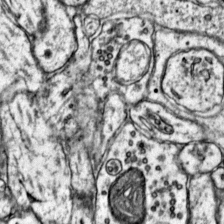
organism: Mouse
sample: Primary visual cortex